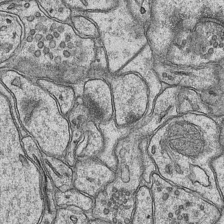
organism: Mouse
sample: CA1 Hippocampus